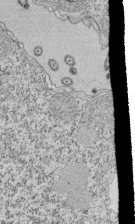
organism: Tetrahymena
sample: Cilia in tetrahymena